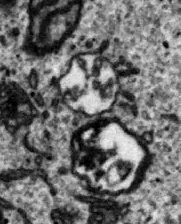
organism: Human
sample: HeLa cells